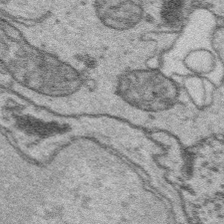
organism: Platynereis dumerilii